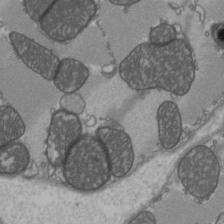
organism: C57BL Mouse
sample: Heart